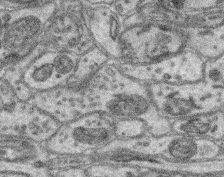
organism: Mouse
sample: Retina